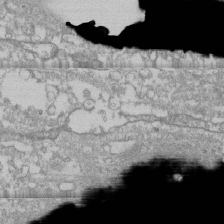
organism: Human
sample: CRL-1474